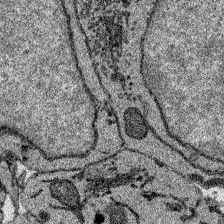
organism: Zebrafish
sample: Larval olfactory bulb